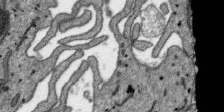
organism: Human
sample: Lung epithelial cells, uninfected (mock) control